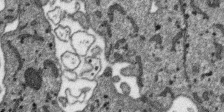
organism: Human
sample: Lung epithelial cells infected with SARS-CoV-2